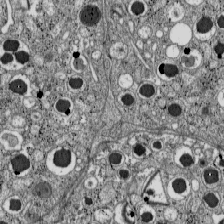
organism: C57BL Mouse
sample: Pancreatic islet